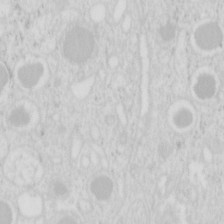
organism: Mouse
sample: Pancreas